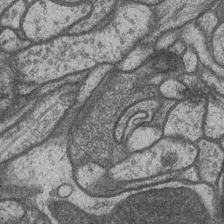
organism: Drosophila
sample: Optic medulla